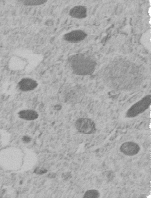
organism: C. elegans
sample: C. elegans embryo early stage